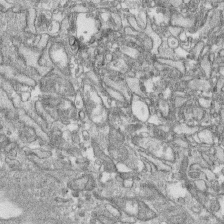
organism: Human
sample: CRL-1474